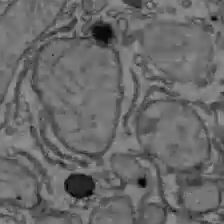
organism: C57BL Mouse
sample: Liver